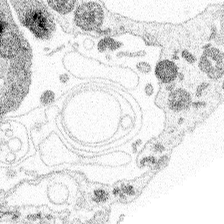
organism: Spongilla lacustris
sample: Multiple